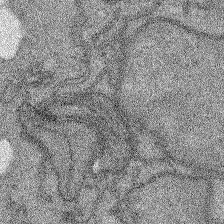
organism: Human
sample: HeLa cells